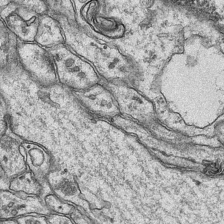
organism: Mouse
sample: CA1 Hippocampus